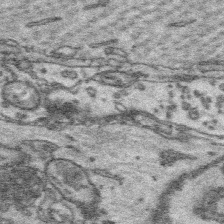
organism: Platynereis dumerilii